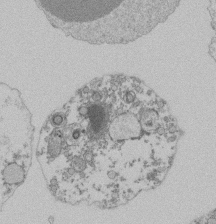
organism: Mouse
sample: Activated Pmel transgenic CD8+ T Cells